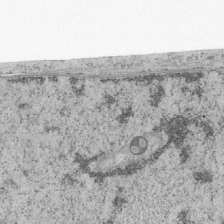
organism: Human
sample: HeLa cells